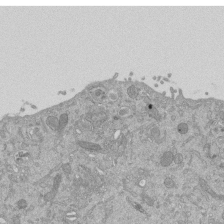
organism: Mouse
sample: ED-1 cell nuclei; centrioles